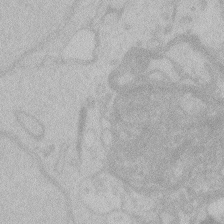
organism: Zebrafish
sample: Macrophage infected with Toxoplasma gondii